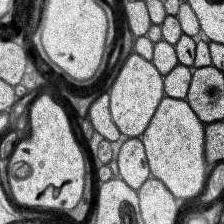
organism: Human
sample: Temporal Lobe